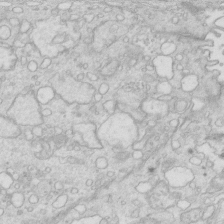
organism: Mouse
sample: Multiciliated cells